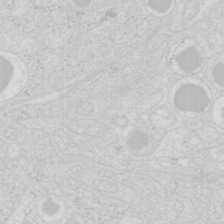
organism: Mouse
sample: Pancreas